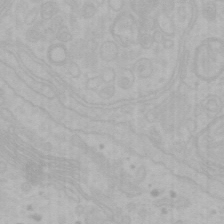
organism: Mouse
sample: Choroid plexus